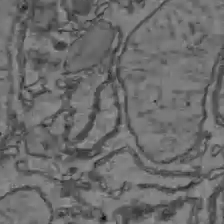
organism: C57BL Mouse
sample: Liver